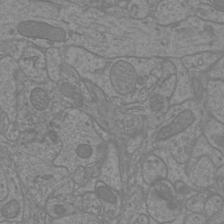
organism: Mouse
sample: Cortical neurons